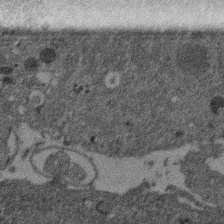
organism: Mouse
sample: Dividing mouse embryo 1 cell stage